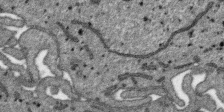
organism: Human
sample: Lung epithelial cells, uninfected (mock) control